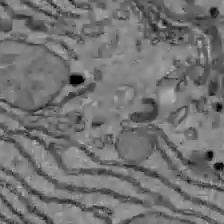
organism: C57BL Mouse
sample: Liver